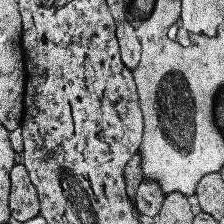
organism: Human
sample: Temporal Lobe